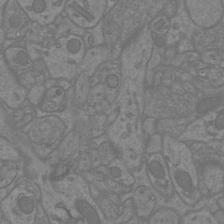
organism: Mouse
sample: Cortical neurons